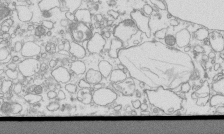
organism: Mouse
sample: Macrophages